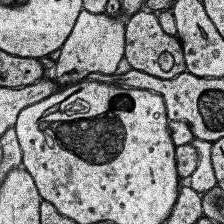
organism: Human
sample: Temporal Lobe